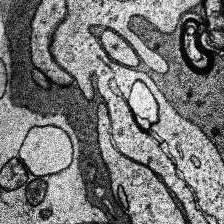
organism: Human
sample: Temporal Lobe